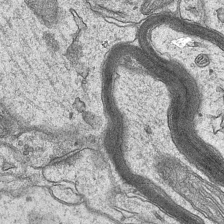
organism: Mouse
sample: CA1 Hippocampus